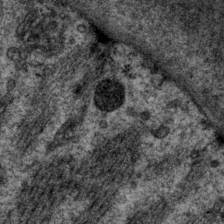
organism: P. pacificus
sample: Pharynx